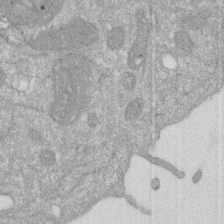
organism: Human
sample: HIV infected U937 cells